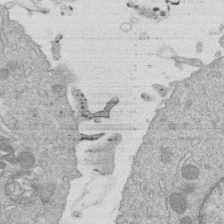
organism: Human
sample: Macrophage cells